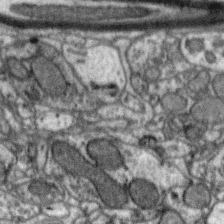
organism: Zebra finch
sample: Brain